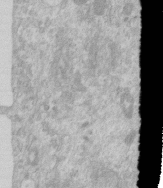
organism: Human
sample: Centriole in RPE cells